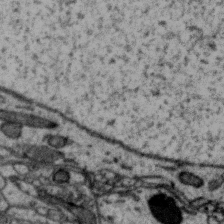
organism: Zebra finch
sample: Brain